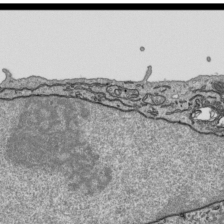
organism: Human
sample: Mitochondria in HCT116 cells